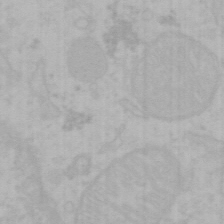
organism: Mouse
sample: Choroid plexus